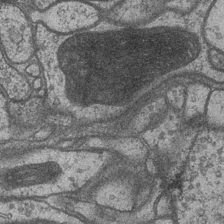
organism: Drosophila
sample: Optic medulla